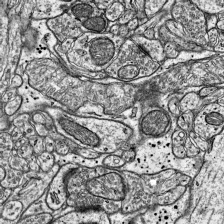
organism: Mouse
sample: Visual Cortex